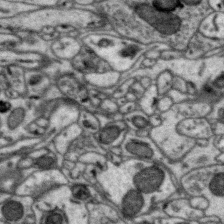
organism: Zebra finch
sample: Brain